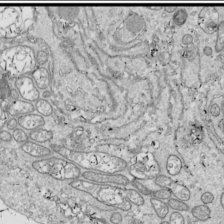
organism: Drosophila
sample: Cell division; meiosis; drosophila spermatocytes